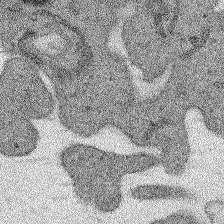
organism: Human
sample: HeLa cells